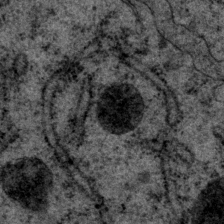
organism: P. pacificus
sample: Pharynx